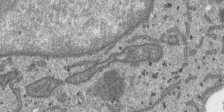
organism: Human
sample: Lung epithelial cells infected with SARS-CoV-2